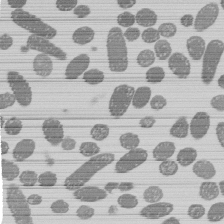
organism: E. coli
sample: Bacterial nucleoid